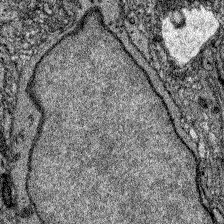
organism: Zebrafish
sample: Larval olfactory bulb